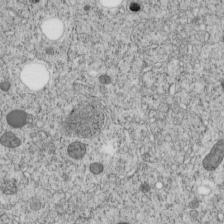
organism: C. elegans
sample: C. elegans embryo early stage